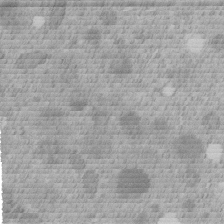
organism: C. elegans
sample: C. elegans embryo early stage